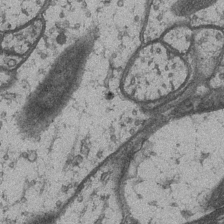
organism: Drosophila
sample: Optic medulla